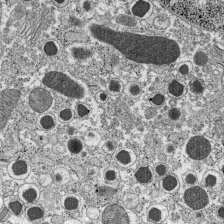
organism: C57BL Mouse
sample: Pancreatic islet